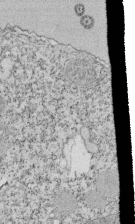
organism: Tetrahymena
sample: Cilia in tetrahymena